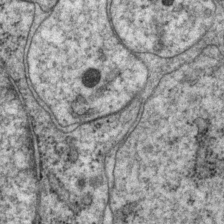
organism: P. pacificus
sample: Pharynx